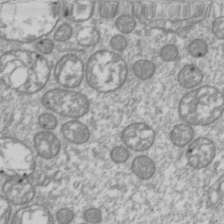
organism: Drosophila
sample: Cell division; meiosis; drosophila spermatocytes